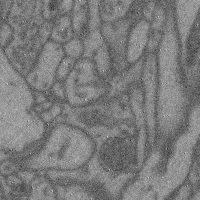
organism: Mouse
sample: Cerebral cortex